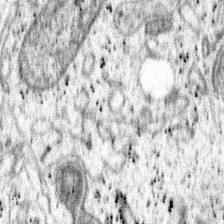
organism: Human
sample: HeLa cells